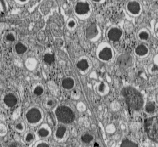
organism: C57BL Mouse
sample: Pancreatic islet